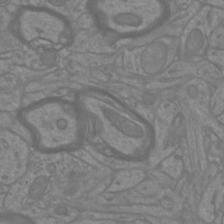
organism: Mouse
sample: Cortical neurons